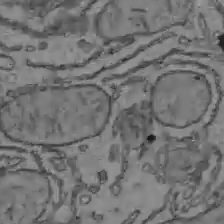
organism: C57BL Mouse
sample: Liver